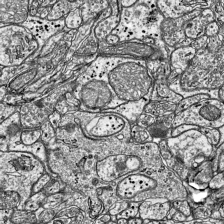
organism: Mouse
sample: Visual Cortex